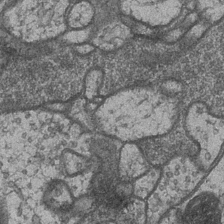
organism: Drosophila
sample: Optic medulla